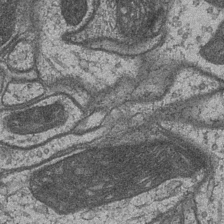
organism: Drosophila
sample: Optic medulla